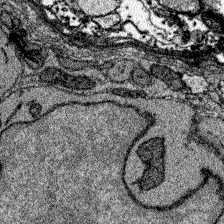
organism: Zebrafish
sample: Larval olfactory bulb